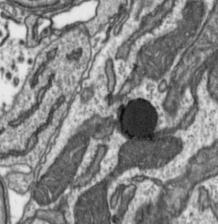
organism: Toxoplasma gondii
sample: Parasites in a vacuole inside a host cell